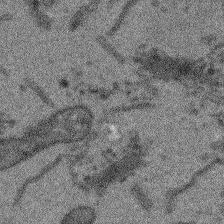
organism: Arabidopsis thaliana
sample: Root tip